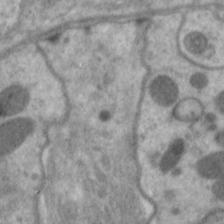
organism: C. elegans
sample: Pharynx